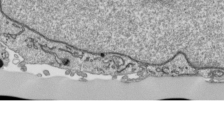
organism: Human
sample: Mitochondria in HCT116 cells